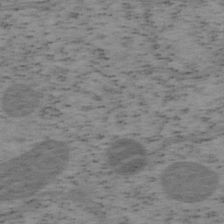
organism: Mouse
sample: OT-I killer T cells with ID8 ovarian cancer cells